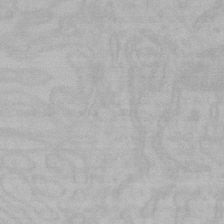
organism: Mouse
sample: Choroid plexus